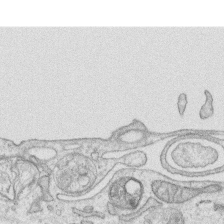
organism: Human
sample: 1205lu cells